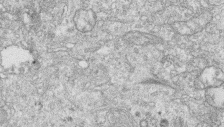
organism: Human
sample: HeLa cell HIV synapse